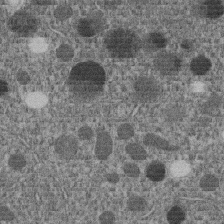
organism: C. elegans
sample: C. elegans embryo early stage